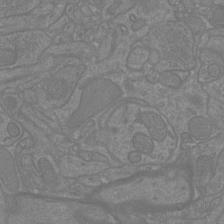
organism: Mouse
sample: Cortical neurons